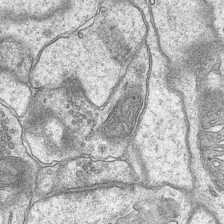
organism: Mouse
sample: CA1 Hippocampus